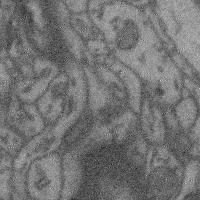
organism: Mouse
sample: Cerebral cortex